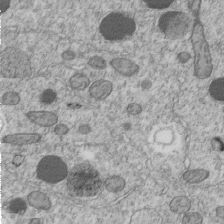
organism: C. elegans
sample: C. elegans embryo early stage